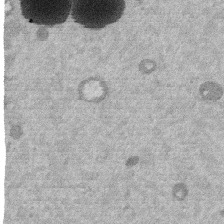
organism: Mouse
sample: Dividing mouse embryo 1 cell stage